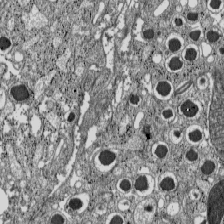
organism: C57BL Mouse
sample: Pancreatic islet